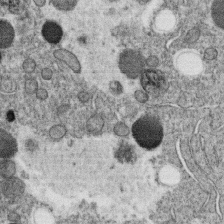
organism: C. elegans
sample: C. elegans oocyte; sperm cells